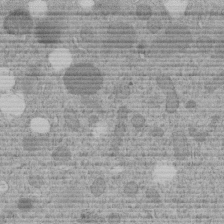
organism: C. elegans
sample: C. elegans embryo early stage